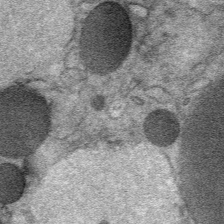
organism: Mouse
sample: Mouse Salivary gland